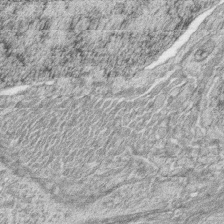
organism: Zebrafish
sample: synaptic ribbons in rod cells and cone cells